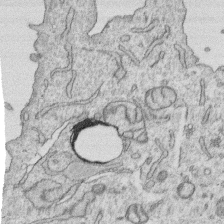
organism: Human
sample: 1205lu cells